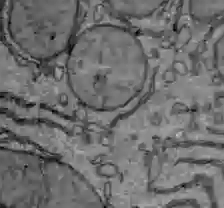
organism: C57BL Mouse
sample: Liver